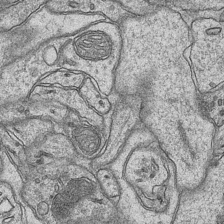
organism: Mouse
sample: CA1 Hippocampus